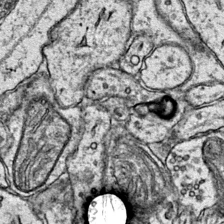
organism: Mouse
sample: Primary visual cortex